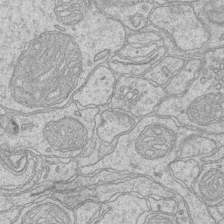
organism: Mouse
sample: CA1 Hippocampus